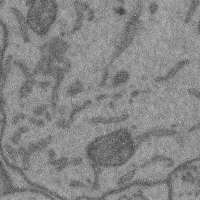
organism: Mouse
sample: Cerebral cortex